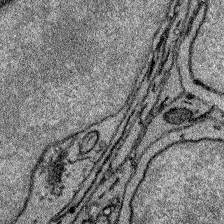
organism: Zebrafish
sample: Larval olfactory bulb